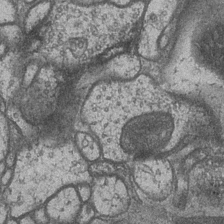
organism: Drosophila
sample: Optic medulla